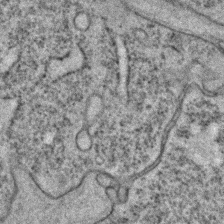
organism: C. elegans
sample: C. elegans embryo